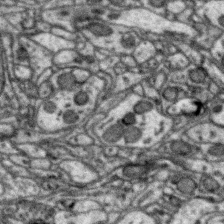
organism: Zebra finch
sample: Brain